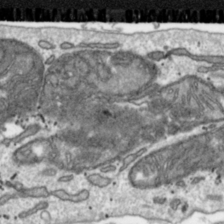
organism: Toxoplasma gondii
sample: Parasites in a vacuole inside a host cell